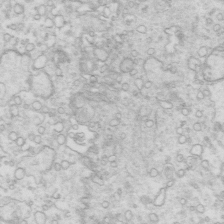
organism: Mouse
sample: Multiciliated cells